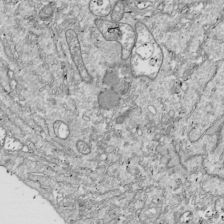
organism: Drosophila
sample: Cell division; meiosis; drosophila spermatocytes